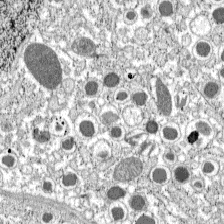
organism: C57BL Mouse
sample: Pancreatic islet